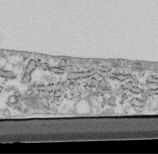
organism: Mouse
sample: Cilia; retinal pigment epithelium